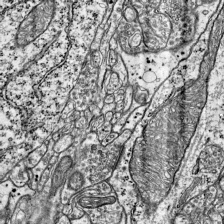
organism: Mouse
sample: Visual Cortex